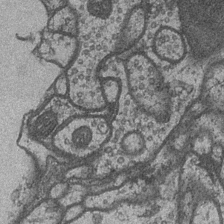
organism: Drosophila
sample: Optic medulla